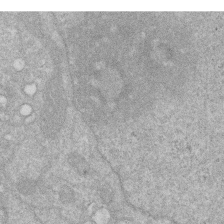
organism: Human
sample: HIV infected U937 cells